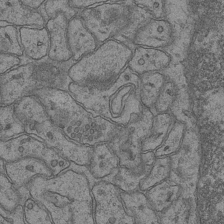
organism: Mouse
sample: CA1 Hippocampus